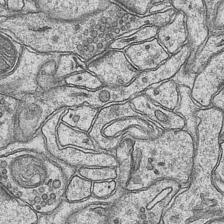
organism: Mouse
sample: CA1 Hippocampus